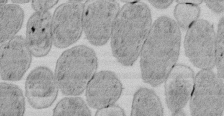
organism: E. coli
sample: Bacterial nucleoid